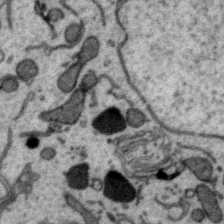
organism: Zebra finch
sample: Brain